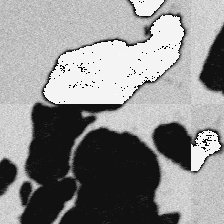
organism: Platynereis dumerilii